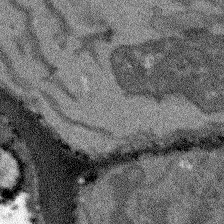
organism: Arabidopsis thaliana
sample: Root tip